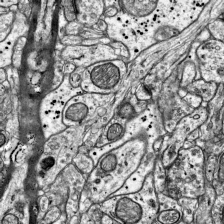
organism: Mouse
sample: Visual Cortex